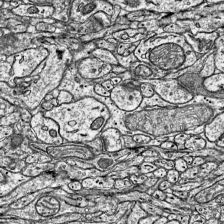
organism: Mouse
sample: Visual Cortex